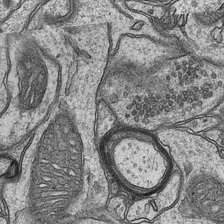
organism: Mouse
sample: CA1 Hippocampus